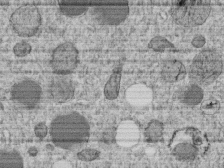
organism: C. elegans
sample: C. elegans embryo early stage